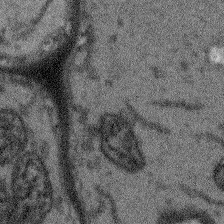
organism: Arabidopsis thaliana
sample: Root tip